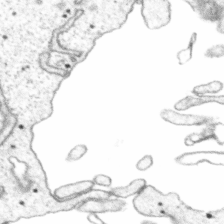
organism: Human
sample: HeLa cells